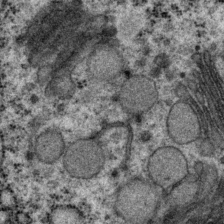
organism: P. pacificus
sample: Pharynx